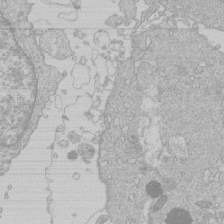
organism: Human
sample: Macrophage cells